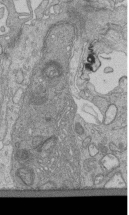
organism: Human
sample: Retinal organoid Rod and Cone cells